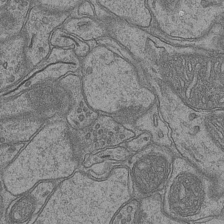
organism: Mouse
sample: CA1 Hippocampus